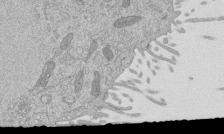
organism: Mouse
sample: ED-1 cell nuclei; centrioles